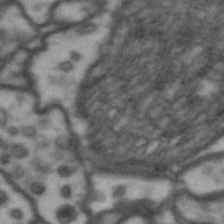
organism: Drosophila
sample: Brain